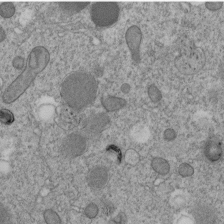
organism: C. elegans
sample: C. elegans embryo early stage